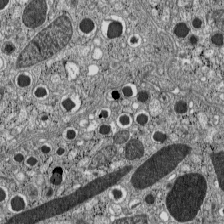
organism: C57BL Mouse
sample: Pancreatic islet